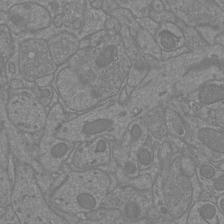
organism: Mouse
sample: Cortical neurons